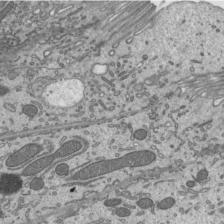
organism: Mouse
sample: Mouse epididymis efferent ductule cilia